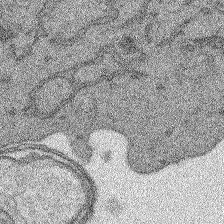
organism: Human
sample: HeLa cells